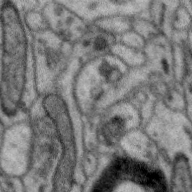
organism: Zebra finch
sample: Brain